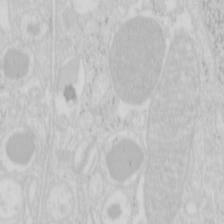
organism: Mouse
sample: Pancreas